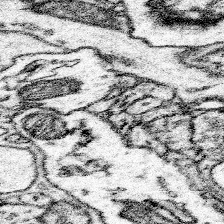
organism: Mouse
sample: Somatosensory cortex neuropil